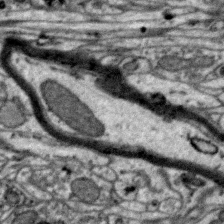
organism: Zebra finch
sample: Brain